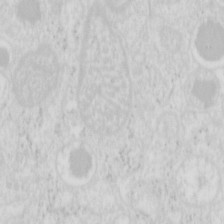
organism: Mouse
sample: Pancreas